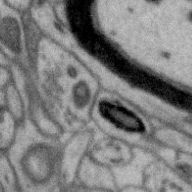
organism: Zebra finch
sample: Brain